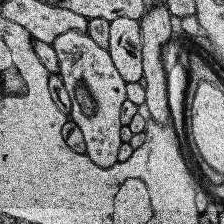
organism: Human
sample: Temporal Lobe